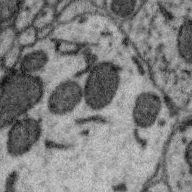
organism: Zebra finch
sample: Brain